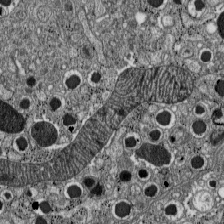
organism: C57BL Mouse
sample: Pancreatic islet